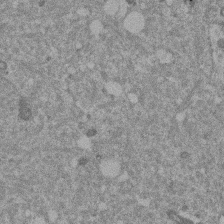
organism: Mouse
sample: Dividing mouse embryo 1 cell stage